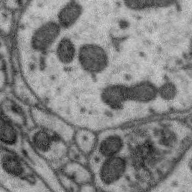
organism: Zebra finch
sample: Brain